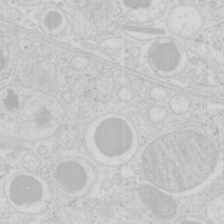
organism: Mouse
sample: Pancreas